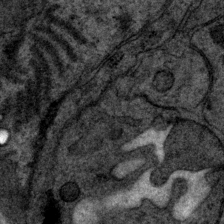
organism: P. pacificus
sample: Pharynx